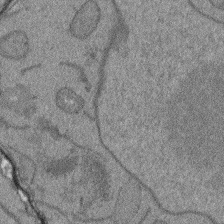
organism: Arabidopsis thaliana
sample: Root tip